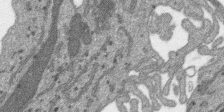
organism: Human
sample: Lung epithelial cells infected with SARS-CoV-2